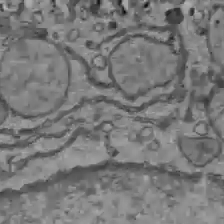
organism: C57BL Mouse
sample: Liver